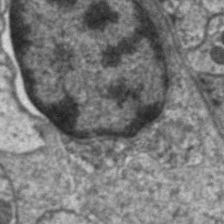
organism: C. elegans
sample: Pharynx